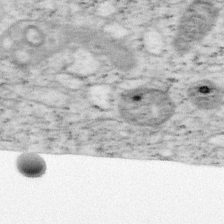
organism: Mouse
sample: OT-I killer T cells with ID8 ovarian cancer cells